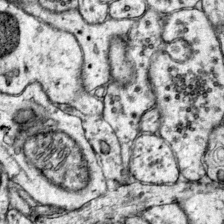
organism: Mouse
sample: Primary visual cortex